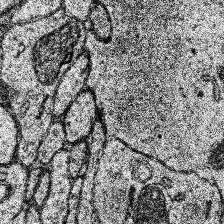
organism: Human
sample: Temporal Lobe